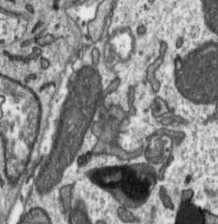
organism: Toxoplasma gondii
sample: Parasites in a vacuole inside a host cell